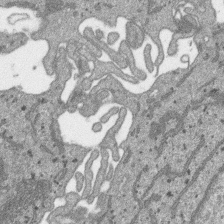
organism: Human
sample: Lung epithelial cells infected with SARS-CoV-2